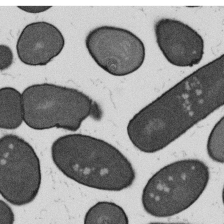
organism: B. subtilis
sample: Bacterial spore